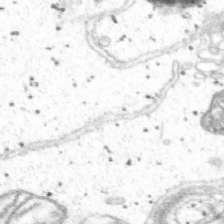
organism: Human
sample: HeLa cells